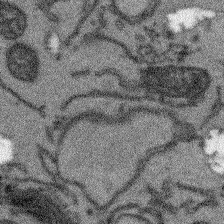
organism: Arabidopsis thaliana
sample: Root tip